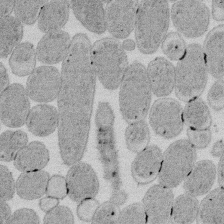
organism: E. coli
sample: Bacterial nucleoid